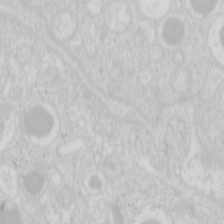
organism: Mouse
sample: Pancreas